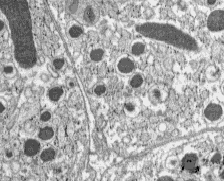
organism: C57BL Mouse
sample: Pancreatic islet